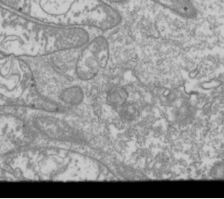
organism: Drosophila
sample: Cell division; meiosis; drosophila spermatocytes